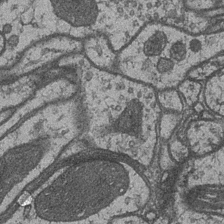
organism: Drosophila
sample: Optic medulla